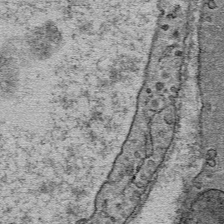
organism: Mouse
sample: Mouse Salivary gland